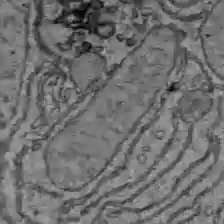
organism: C57BL Mouse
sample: Liver